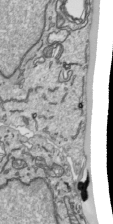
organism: Human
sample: Mitochondria in HCT116 cells